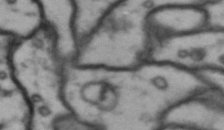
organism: Drosophila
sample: Brain